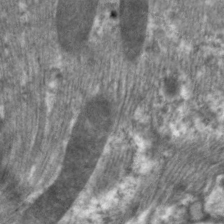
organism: C. elegans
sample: Pharynx